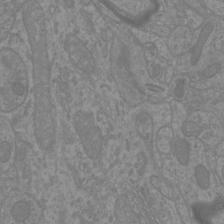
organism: Mouse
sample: Cortical neurons